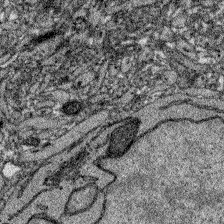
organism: Zebrafish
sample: Larval olfactory bulb